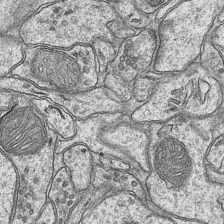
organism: Mouse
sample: CA1 Hippocampus